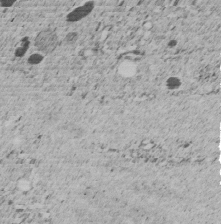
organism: C. elegans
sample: C. elegans embryo early stage